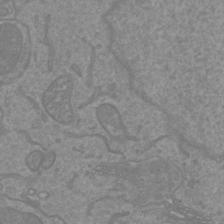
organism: Mouse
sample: Cortical neurons